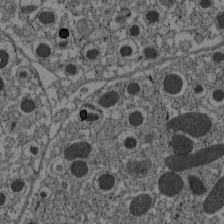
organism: C57BL Mouse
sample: Pancreatic islet